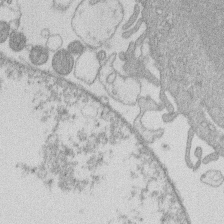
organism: Human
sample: Macrophage cells